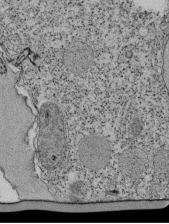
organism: Tetrahymena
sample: Cilia in tetrahymena